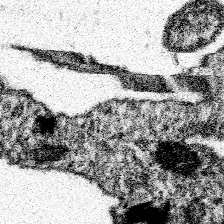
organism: Spongilla lacustris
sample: Neuroid cell